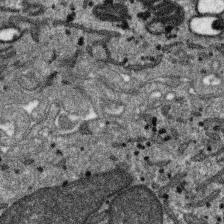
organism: Human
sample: Lung epithelial cells infected with SARS-CoV-2